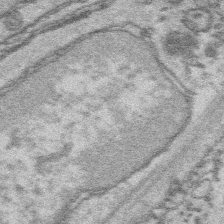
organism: Platynereis dumerilii